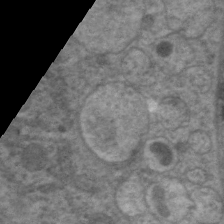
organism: C. elegans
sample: Pharynx